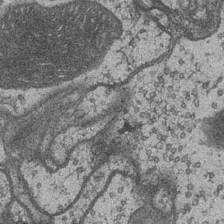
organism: Drosophila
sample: Optic medulla